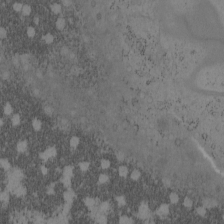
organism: Mouse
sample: OT-I killer T cells with ID8 ovarian cancer cells